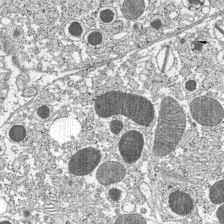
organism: C57BL Mouse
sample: Pancreatic islet